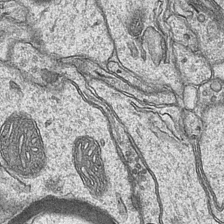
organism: Mouse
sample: CA1 Hippocampus